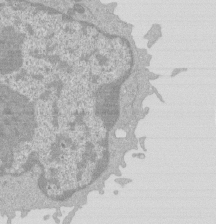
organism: Mouse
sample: Activated Pmel transgenic CD8+ T Cells